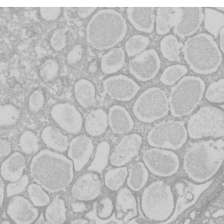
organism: Xenopus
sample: Cilia; centrioles in frog embryo cells